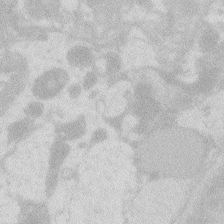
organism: Zebrafish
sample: Macrophage